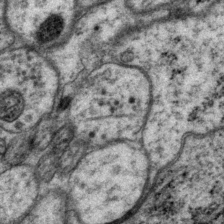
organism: P. pacificus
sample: Pharynx